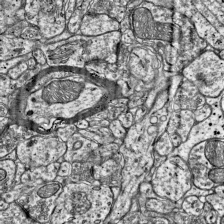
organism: Mouse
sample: Visual Cortex